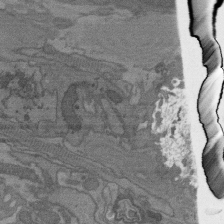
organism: C. elegans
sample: AFD neurons C. elegans